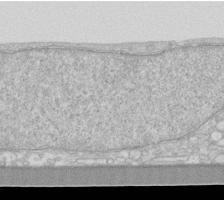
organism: Human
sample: Fibroblast cells